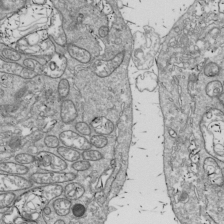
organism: Drosophila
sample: Cell division; meiosis; drosophila spermatocytes